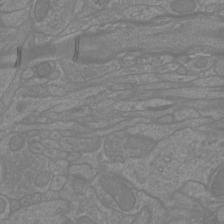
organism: Mouse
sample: Cortical neurons